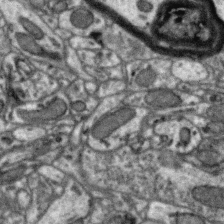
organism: Zebra finch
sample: Brain